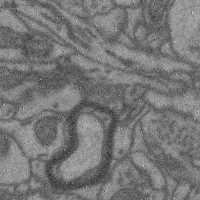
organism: Mouse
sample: Cerebral cortex